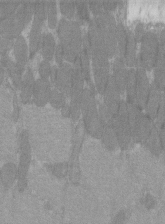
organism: C57BL Mouse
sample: Tibialis anterior muscle cell